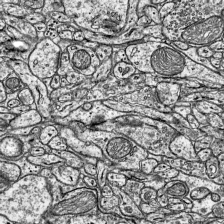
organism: Mouse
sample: Visual Cortex